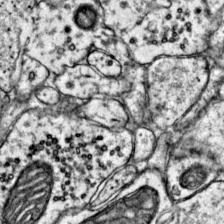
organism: Mouse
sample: Primary visual cortex